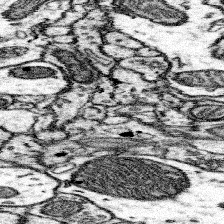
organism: Mouse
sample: Somatosensory cortex neuropil